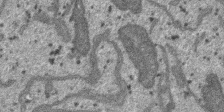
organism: Human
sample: Lung epithelial cells infected with SARS-CoV-2